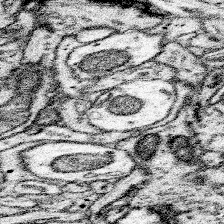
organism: Mouse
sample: Somatosensory cortex neuropil